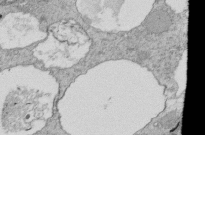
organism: Tetrahymena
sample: Cilia in tetrahymena